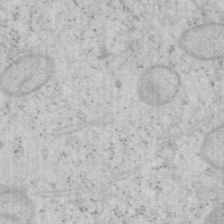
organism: Human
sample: HeLa cells